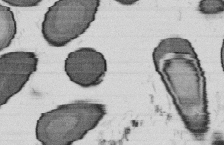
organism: B. subtilis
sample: Bacterial spore